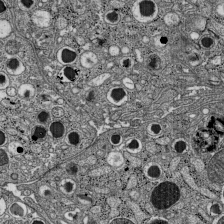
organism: C57BL Mouse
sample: Pancreatic islet